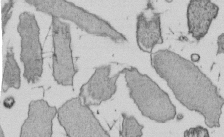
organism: E. coli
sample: Bacterial nucleoid